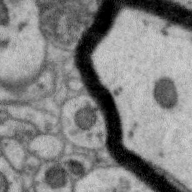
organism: Zebra finch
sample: Brain